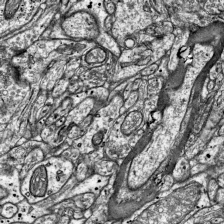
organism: Mouse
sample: Visual Cortex